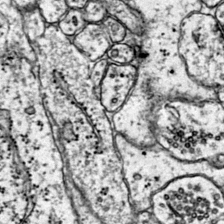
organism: Mouse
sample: Primary visual cortex